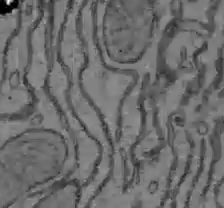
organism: C57BL Mouse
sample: Liver